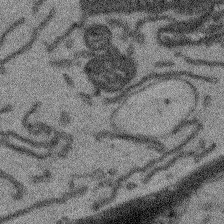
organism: Arabidopsis thaliana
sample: Root tip